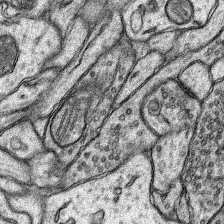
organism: Rat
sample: Hippocampus